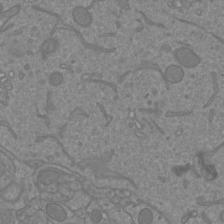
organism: Mouse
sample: Cortical neurons